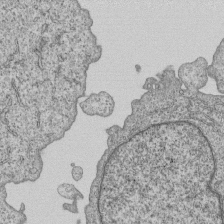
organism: Human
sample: MDA-MB-231 cells